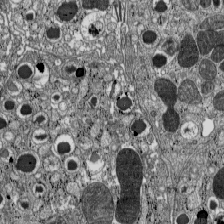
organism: C57BL Mouse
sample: Pancreatic islet